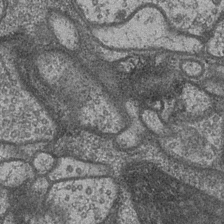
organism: Drosophila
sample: Optic medulla